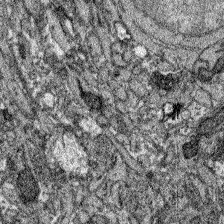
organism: Zebrafish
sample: Larval olfactory bulb